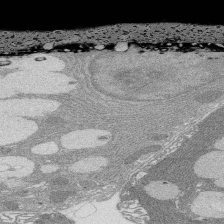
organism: Rat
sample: Salivary granule